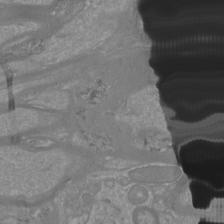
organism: Mouse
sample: Cortical neurons